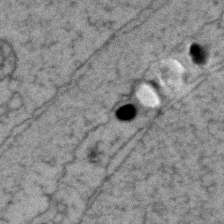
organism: Zebrafish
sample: Zebrafish embryo